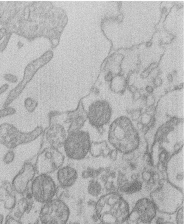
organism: Human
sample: Macrophage cells